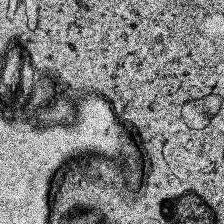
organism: Human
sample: Temporal Lobe